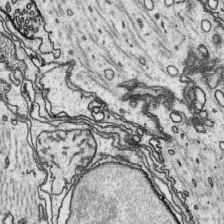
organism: Platynereis dumerilii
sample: Parapodia